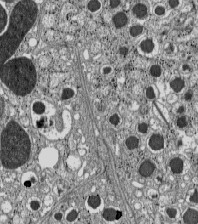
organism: C57BL Mouse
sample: Pancreatic islet